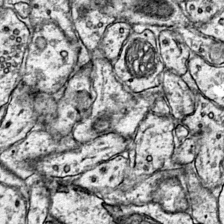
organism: Mouse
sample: Primary visual cortex